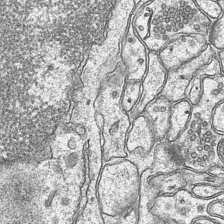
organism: Mouse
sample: CA1 Hippocampus